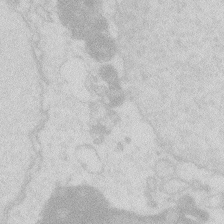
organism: Zebrafish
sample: Macrophage